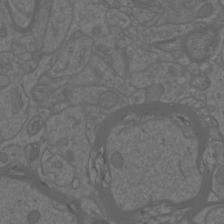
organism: Mouse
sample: Cortical neurons